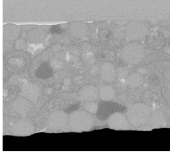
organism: C. elegans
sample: C. elegans oocyte; sperm cells